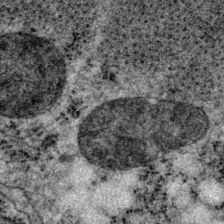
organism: P. pacificus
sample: Pharynx